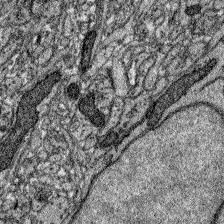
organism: Zebrafish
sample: Larval olfactory bulb